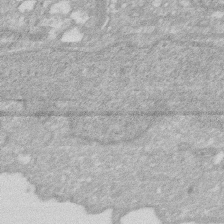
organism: Human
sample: HIV infected U937 cells